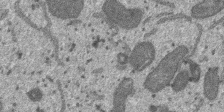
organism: Human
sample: Lung epithelial cells infected with SARS-CoV-2